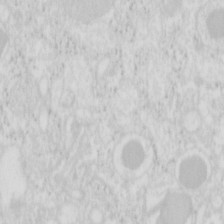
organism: Mouse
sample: Pancreas